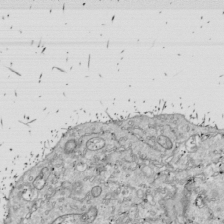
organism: Drosophila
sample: Cell division; meiosis; drosophila spermatocytes